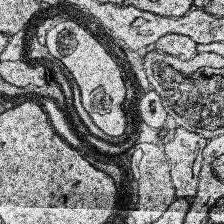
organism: Human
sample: Temporal Lobe